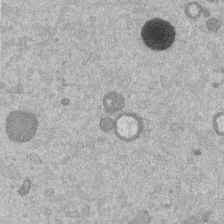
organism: Mouse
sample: Dividing mouse embryo 1 cell stage